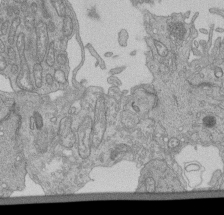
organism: Human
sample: Retinal organoid Rod and Cone cells